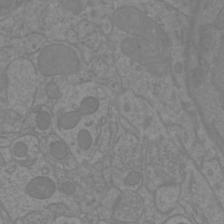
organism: Mouse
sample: Cortical neurons